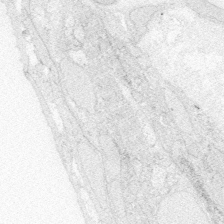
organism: Zebrafish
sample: Whole-Brain